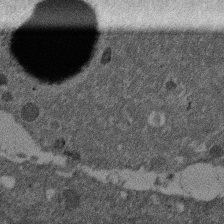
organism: Mouse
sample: Dividing mouse embryo 1 cell stage